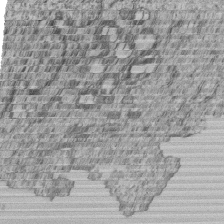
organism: Human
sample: MDA-MB-231 cells